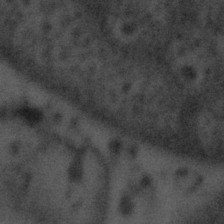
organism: Tuwongella immobilis